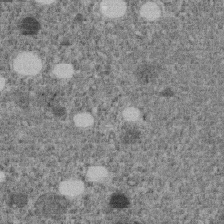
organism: C. elegans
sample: C. elegans embryo early stage